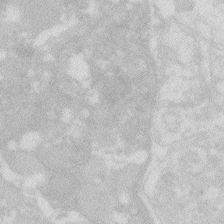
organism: Zebrafish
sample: Macrophage